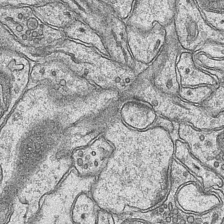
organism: Mouse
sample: CA1 Hippocampus